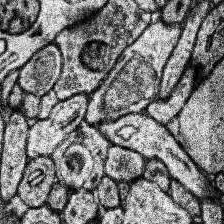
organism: Human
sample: Temporal Lobe